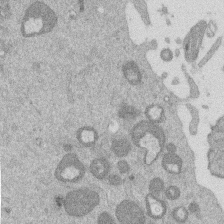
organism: Mouse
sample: Dividing mouse embryo 1 cell stage